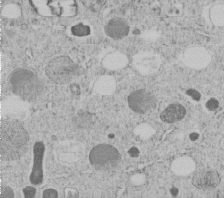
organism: C. elegans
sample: C. elegans embryo early stage